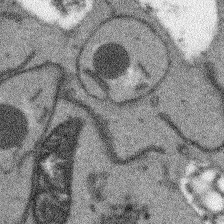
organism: Arabidopsis thaliana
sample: Root tip